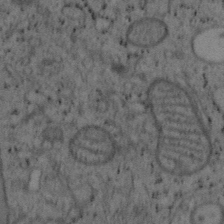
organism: Human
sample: HeLa cells